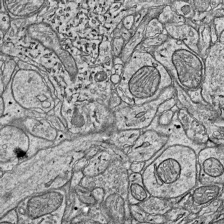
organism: Mouse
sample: Visual Cortex